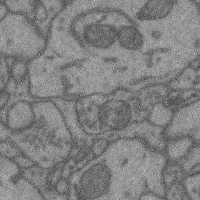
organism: Mouse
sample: Cerebral cortex